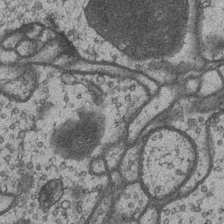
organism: Drosophila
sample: Optic medulla